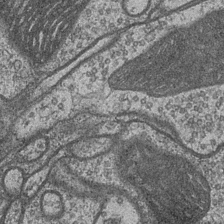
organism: Drosophila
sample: Optic medulla